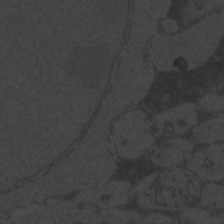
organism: Zebrafish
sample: Macrophage infected with Toxoplasma gondii